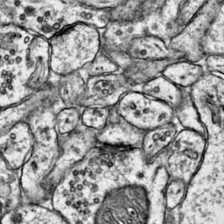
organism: Mouse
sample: Primary visual cortex